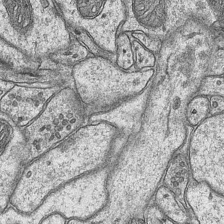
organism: Mouse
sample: CA1 Hippocampus